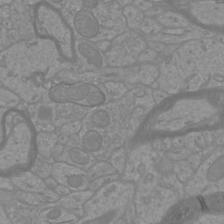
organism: Mouse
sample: Cortical neurons